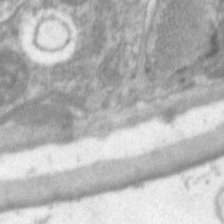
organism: C. elegans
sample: Pharynx